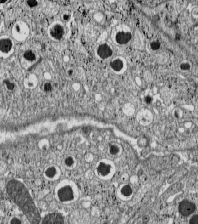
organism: C57BL Mouse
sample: Pancreatic islet